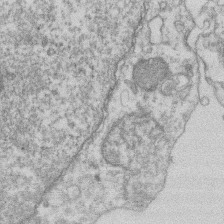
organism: Mouse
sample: T cell stromal cell synapse